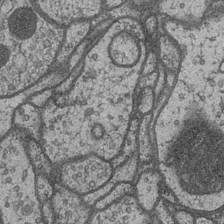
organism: Drosophila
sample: Optic medulla